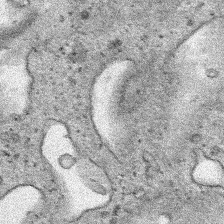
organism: Human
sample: Mitochondria in HCT116 cells